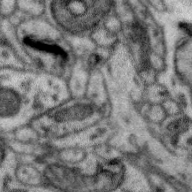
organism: Zebra finch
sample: Brain